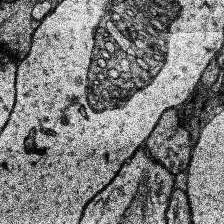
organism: Human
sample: Temporal Lobe